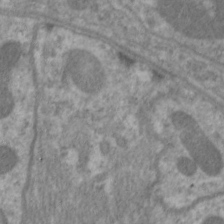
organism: C. elegans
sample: Pharynx